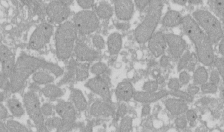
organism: Xenopus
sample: Cilia; centrioles in frog embryo cells